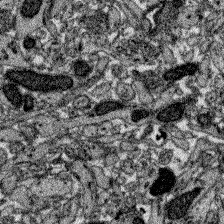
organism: Zebrafish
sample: Larval olfactory bulb